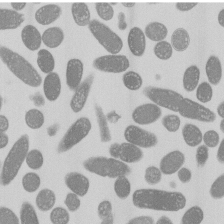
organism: E. coli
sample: Bacterial nucleoid